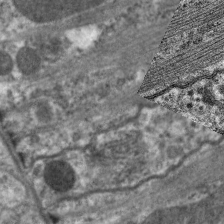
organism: C. elegans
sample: Pharynx